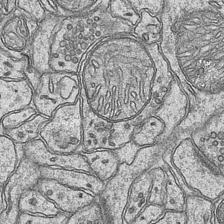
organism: Mouse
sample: CA1 Hippocampus